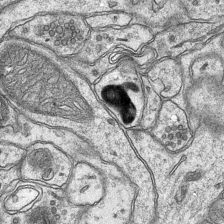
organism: Mouse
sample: CA1 Hippocampus